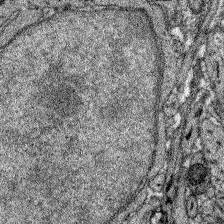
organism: Zebrafish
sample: Larval olfactory bulb